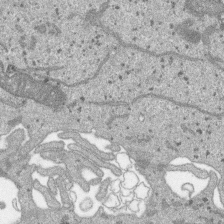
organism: Human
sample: Lung epithelial cells infected with SARS-CoV-2